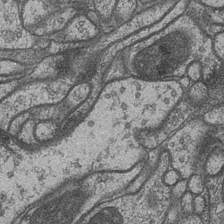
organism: Drosophila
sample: Optic medulla